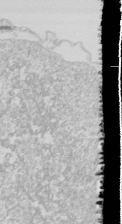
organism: Drosophila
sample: Cell division; meiosis; drosophila spermatocytes